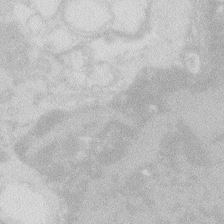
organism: Zebrafish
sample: Macrophage